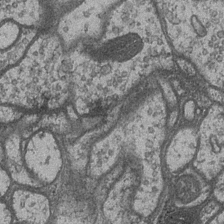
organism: Drosophila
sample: Optic medulla